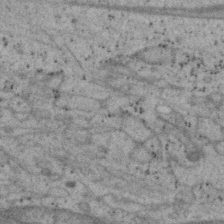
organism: Human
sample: HeLa cells